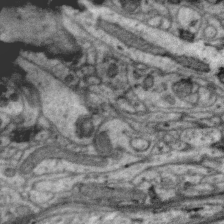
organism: Zebra finch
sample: Brain